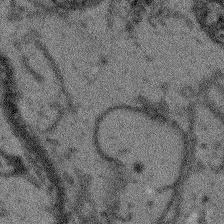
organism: Arabidopsis thaliana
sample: Root tip